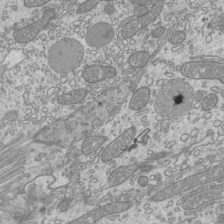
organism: Mouse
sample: Cilia; mouse epididymis